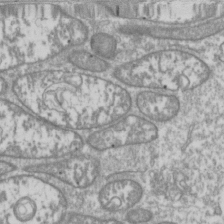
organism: Drosophila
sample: Cell division; meiosis; drosophila spermatocytes